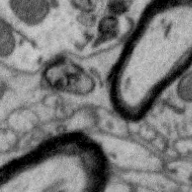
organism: Zebra finch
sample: Brain